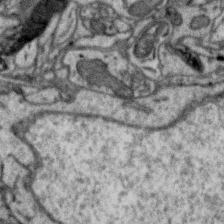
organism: Zebra finch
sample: Brain